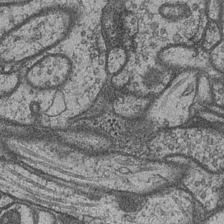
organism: Drosophila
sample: Optic medulla